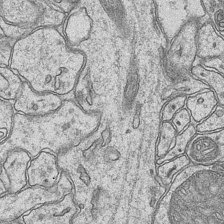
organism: Mouse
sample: CA1 Hippocampus